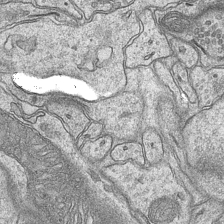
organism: Mouse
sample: CA1 Hippocampus